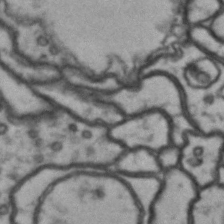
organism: Drosophila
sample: Brain